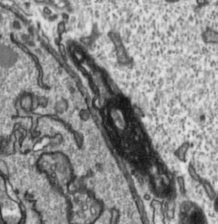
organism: Toxoplasma gondii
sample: Parasites in a vacuole inside a host cell